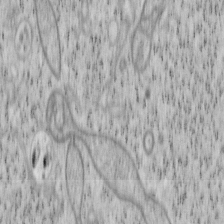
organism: Human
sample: HeLa cells